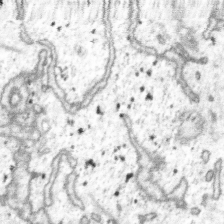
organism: Human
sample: HeLa cells